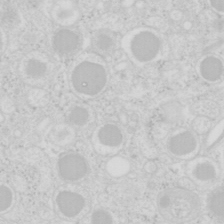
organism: Mouse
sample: Pancreas